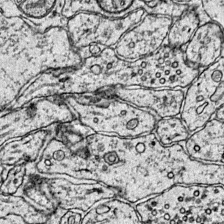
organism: Mouse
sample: Primary visual cortex